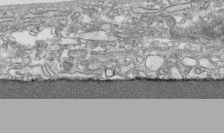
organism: Human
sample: CRL-1474